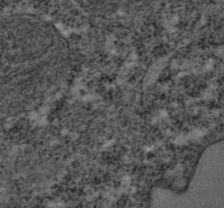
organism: C. elegans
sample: C. elegans embryo